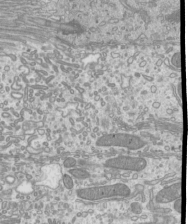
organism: Mouse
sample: Cilia; mouse epididymis